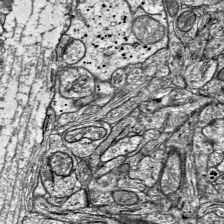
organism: Mouse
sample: Visual Cortex